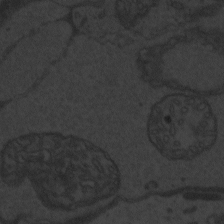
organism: Zebrafish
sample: Macrophage infected with Toxoplasma gondii